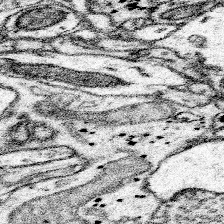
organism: Mouse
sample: Somatosensory cortex neuropil